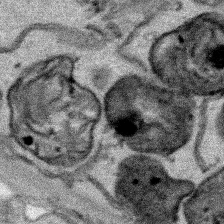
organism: Human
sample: Mitochondria in HCT116 cells